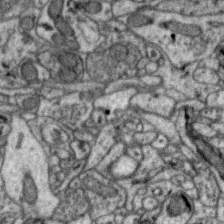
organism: Zebra finch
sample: Brain